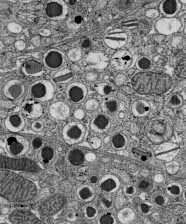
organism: C57BL Mouse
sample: Pancreatic islet